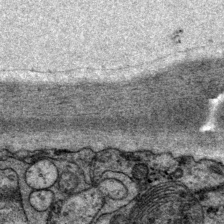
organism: P. pacificus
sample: Pharynx